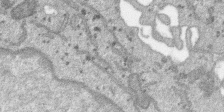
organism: Human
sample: Lung epithelial cells infected with SARS-CoV-2